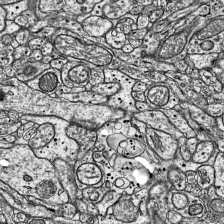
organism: Mouse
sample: Visual Cortex